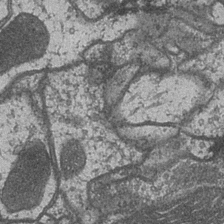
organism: Drosophila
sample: Optic medulla